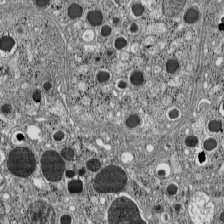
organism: C57BL Mouse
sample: Pancreatic islet